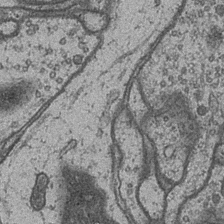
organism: Drosophila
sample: Optic medulla